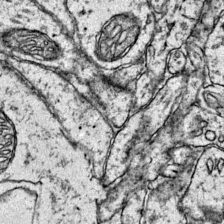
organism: Mouse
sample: Primary visual cortex